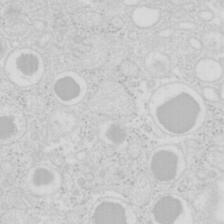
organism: Mouse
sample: Pancreas